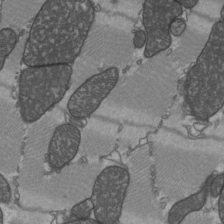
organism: C57BL Mouse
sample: Heart